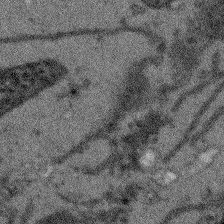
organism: Arabidopsis thaliana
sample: Root tip